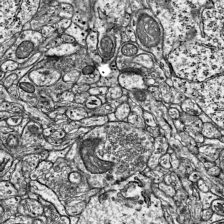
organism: Mouse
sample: Visual Cortex